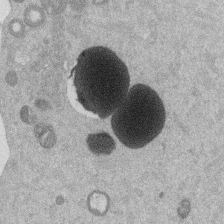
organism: Mouse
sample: Dividing mouse embryo 1 cell stage